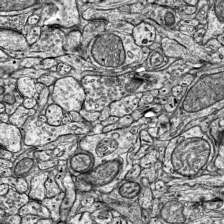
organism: Mouse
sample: Visual Cortex